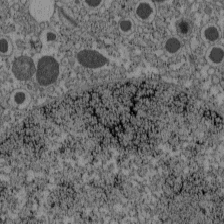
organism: C57BL Mouse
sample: Pancreatic islet